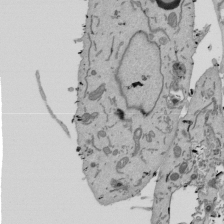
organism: Mouse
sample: ED-1 cell nuclei; centrioles